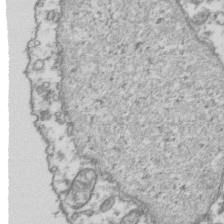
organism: Human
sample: Activated Jurkat CD4+ T cells